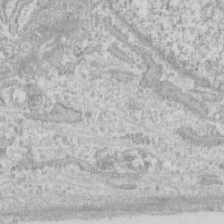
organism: Human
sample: Fibroblast cells